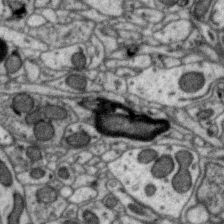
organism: Zebra finch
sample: Brain